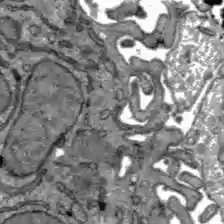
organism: C57BL Mouse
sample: Liver